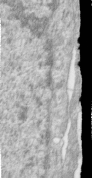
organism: Human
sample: Centriole in RPE cells